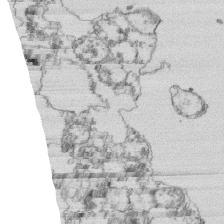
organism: Human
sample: HeLa cell HIV synapse